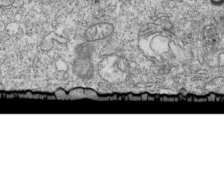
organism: Human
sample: HeLa cell HIV synapse